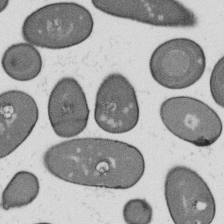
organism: B. subtilis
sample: Bacterial spore